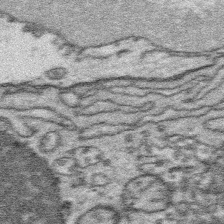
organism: Platynereis dumerilii